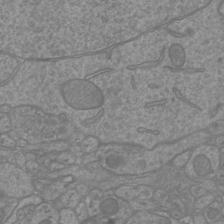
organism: Mouse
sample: Cortical neurons